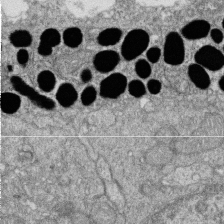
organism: Zebrafish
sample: Cilia; retinal pigment epithelium